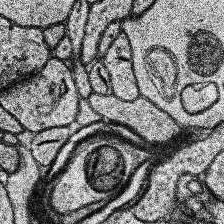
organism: Human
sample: Temporal Lobe